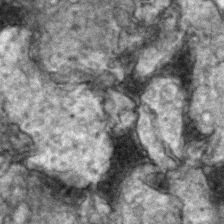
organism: Zebrafish